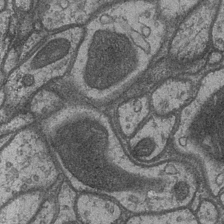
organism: Drosophila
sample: Optic medulla